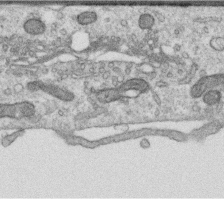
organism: Human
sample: Centriole in RPE cells